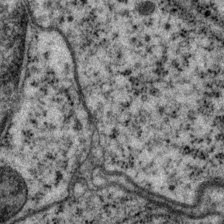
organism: P. pacificus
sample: Pharynx